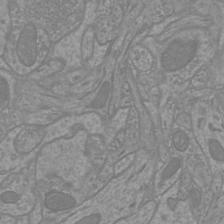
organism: Mouse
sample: Cortical neurons